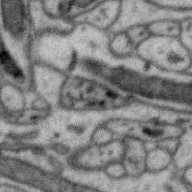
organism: Zebra finch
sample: Brain